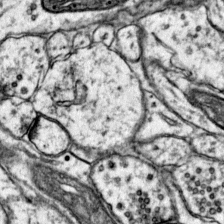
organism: Mouse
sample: Primary visual cortex